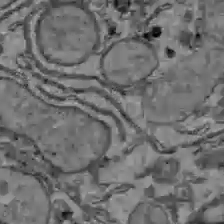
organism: C57BL Mouse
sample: Liver